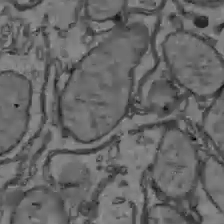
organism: C57BL Mouse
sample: Liver